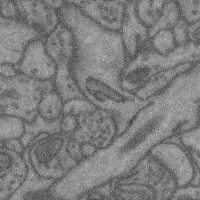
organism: Mouse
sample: Cerebral cortex